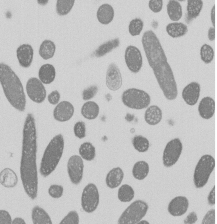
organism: E. coli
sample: Bacterial nucleoid